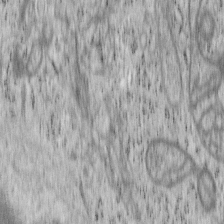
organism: Human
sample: HeLa cells